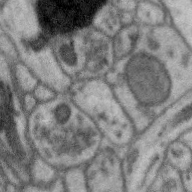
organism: Zebra finch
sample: Brain